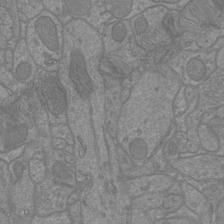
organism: Mouse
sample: Cortical neurons